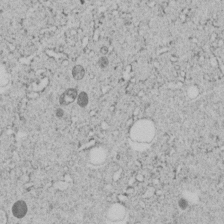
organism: C. elegans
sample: C. elegans embryo early stage